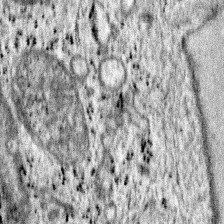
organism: Human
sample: HeLa cells